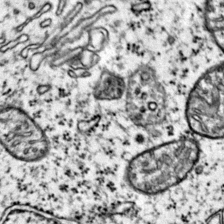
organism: Mouse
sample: Primary visual cortex